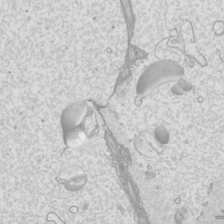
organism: Mouse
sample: Cilia; mouse epididymis